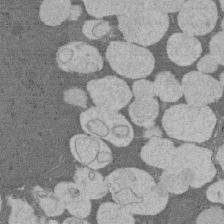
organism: Rat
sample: Salivary granule